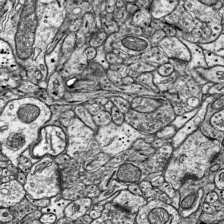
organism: Mouse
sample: Visual Cortex